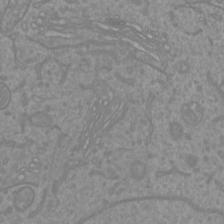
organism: Mouse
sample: Cortical neurons